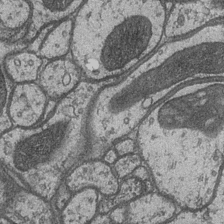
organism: Drosophila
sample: Optic medulla